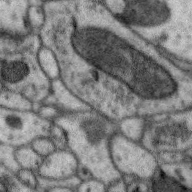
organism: Zebra finch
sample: Brain